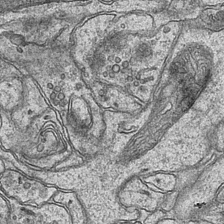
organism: Mouse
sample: CA1 Hippocampus